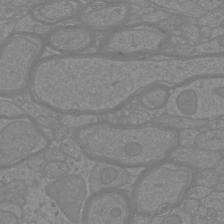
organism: Mouse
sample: Cortical neurons